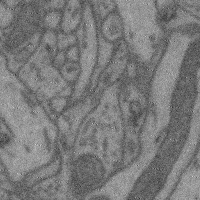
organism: Mouse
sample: Cerebral cortex